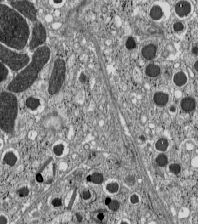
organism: C57BL Mouse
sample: Pancreatic islet